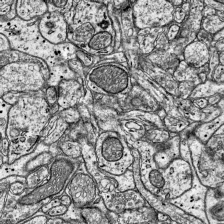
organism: Mouse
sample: Visual Cortex